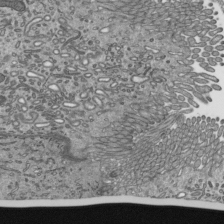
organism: Mouse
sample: Mouse epididymis efferent ductule cilia